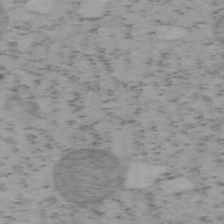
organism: Mouse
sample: OT-I killer T cells with ID8 ovarian cancer cells